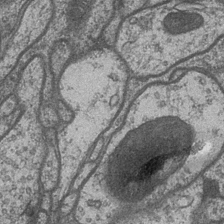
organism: Drosophila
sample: Optic medulla